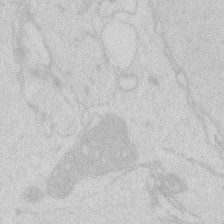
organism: Zebrafish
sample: Macrophage